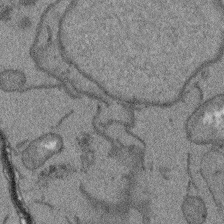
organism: Arabidopsis thaliana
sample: Root tip